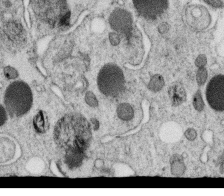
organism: C. elegans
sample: C. elegans oocyte; sperm cells